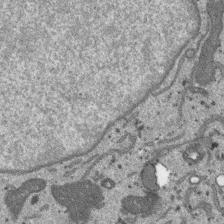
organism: Human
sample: Lung epithelial cells infected with SARS-CoV-2